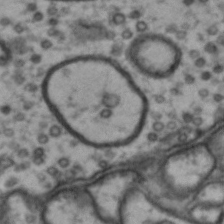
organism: Drosophila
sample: Brain